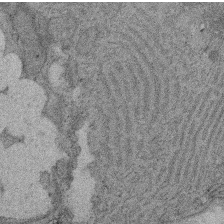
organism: Rat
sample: Salivary granule